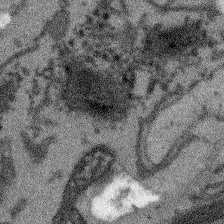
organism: Arabidopsis thaliana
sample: Root tip